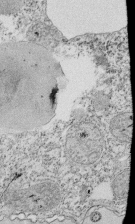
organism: Tetrahymena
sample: Cilia in tetrahymena